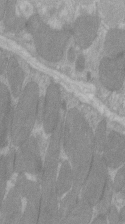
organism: C57BL Mouse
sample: Tibialis anterior muscle cell